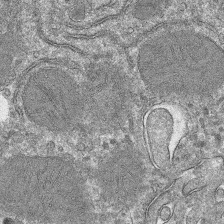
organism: Mouse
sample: Mouse hepatocytes